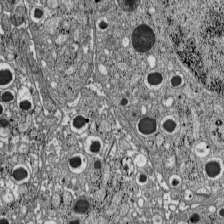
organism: C57BL Mouse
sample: Pancreatic islet